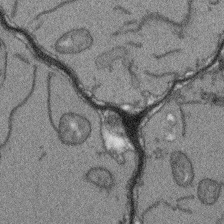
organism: Arabidopsis thaliana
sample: Root tip